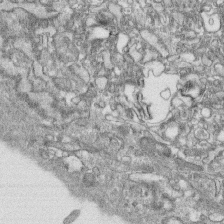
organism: Human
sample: CRL-1474